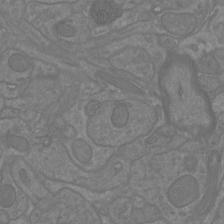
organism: Mouse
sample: Cortical neurons